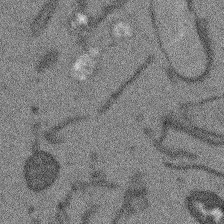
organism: Arabidopsis thaliana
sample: Root tip